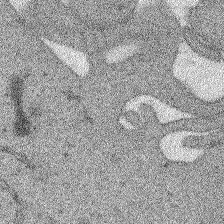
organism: Human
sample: HeLa cells